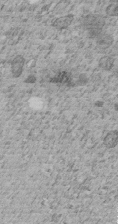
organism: C. elegans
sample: C. elegans embryo early stage